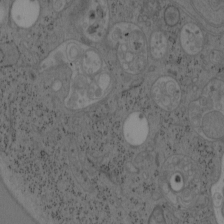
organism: Mouse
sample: OT-I killer T cells with ID8 ovarian cancer cells